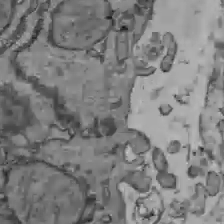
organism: C57BL Mouse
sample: Liver